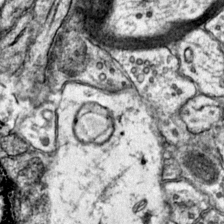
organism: Mouse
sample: Primary visual cortex